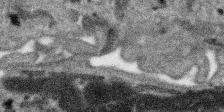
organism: Human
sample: Lung epithelial cells infected with SARS-CoV-2